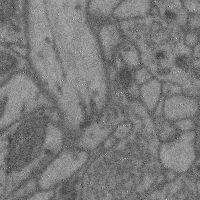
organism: Mouse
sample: Cerebral cortex